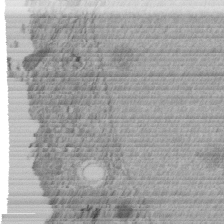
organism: C. elegans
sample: C. elegans embryo early stage